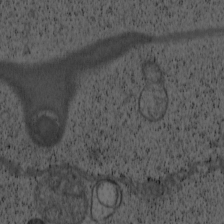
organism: African green monkey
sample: COS-7 cells